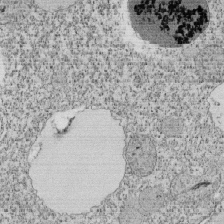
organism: Tetrahymena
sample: Cilia in tetrahymena